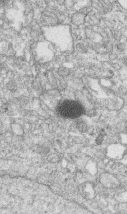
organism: Human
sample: HeLa cell HIV synapse